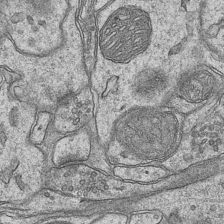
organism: Mouse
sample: CA1 Hippocampus